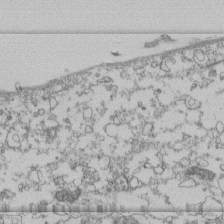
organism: Human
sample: Fibroblast cells